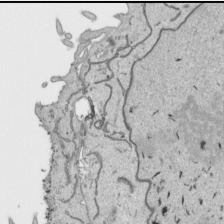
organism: Human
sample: Mitochondria in HCT116 cells